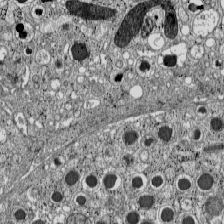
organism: C57BL Mouse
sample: Pancreatic islet